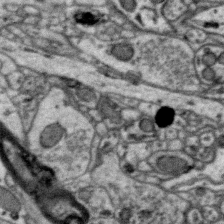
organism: Zebra finch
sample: Brain